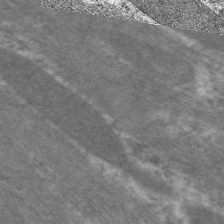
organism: C. elegans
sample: Pharynx